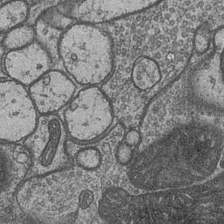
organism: Drosophila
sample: Optic medulla